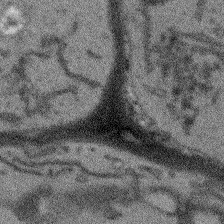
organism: Arabidopsis thaliana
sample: Root tip